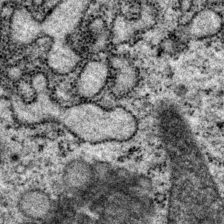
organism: P. pacificus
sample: Pharynx